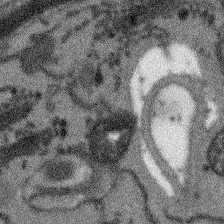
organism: Arabidopsis thaliana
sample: Root tip